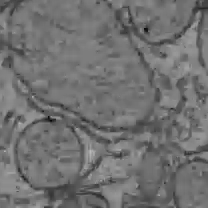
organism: C57BL Mouse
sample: Liver